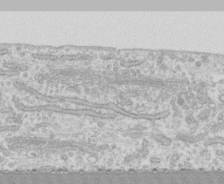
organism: Human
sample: CRL-1474